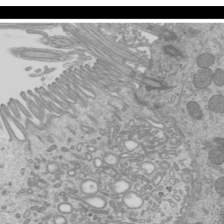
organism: Mouse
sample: Cilia; mouse epididymis